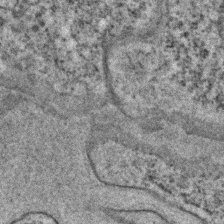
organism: C. elegans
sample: C. elegans embryo